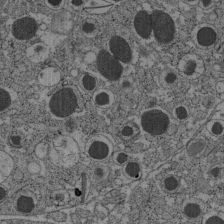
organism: C57BL Mouse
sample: Pancreatic islet